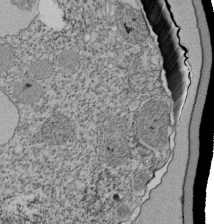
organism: Tetrahymena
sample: Cilia in tetrahymena